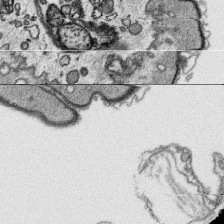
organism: Platynereis dumerilii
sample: Parapodia